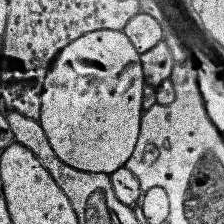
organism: Human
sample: Temporal Lobe